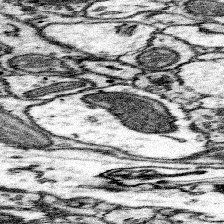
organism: Mouse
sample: Somatosensory cortex neuropil